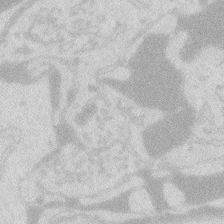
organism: Zebrafish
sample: Macrophage